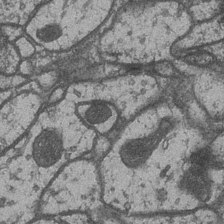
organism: Drosophila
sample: Optic medulla